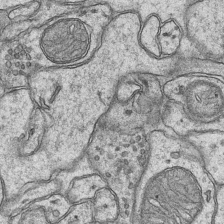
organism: Mouse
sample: CA1 Hippocampus